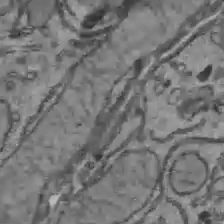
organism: C57BL Mouse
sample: Liver